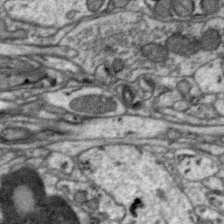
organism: Zebra finch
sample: Brain